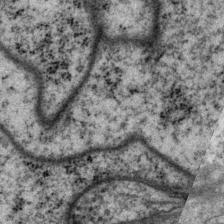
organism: P. pacificus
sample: Pharynx